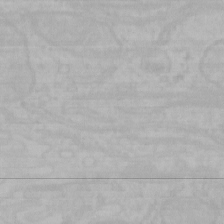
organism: Mouse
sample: Choroid plexus